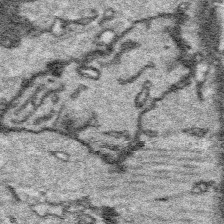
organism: Platynereis dumerilii